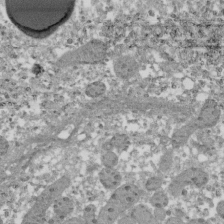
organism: Xenopus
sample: Cilia; centrioles in frog embryo cells